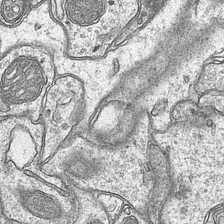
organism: Mouse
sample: CA1 Hippocampus